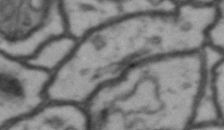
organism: Drosophila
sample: Brain